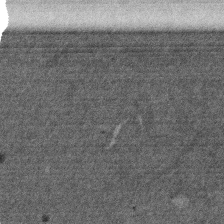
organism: Mouse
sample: Dividing mouse embryo 1 cell stage